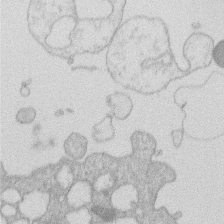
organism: Human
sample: Macrophage cells